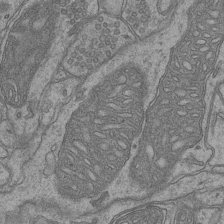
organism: Mouse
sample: CA1 Hippocampus